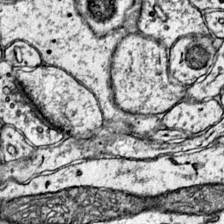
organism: Mouse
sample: Primary visual cortex